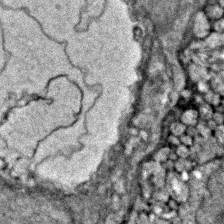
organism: Zebrafish